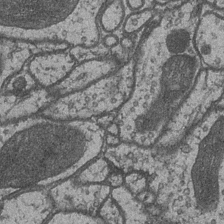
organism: Drosophila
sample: Optic medulla